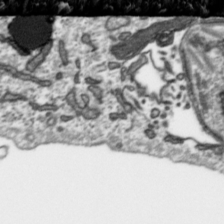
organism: Toxoplasma gondii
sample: Parasites in a vacuole inside a host cell